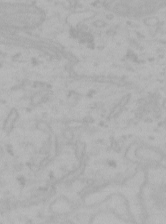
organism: Mouse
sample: Choroid plexus